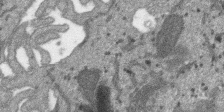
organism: Human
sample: Lung epithelial cells infected with SARS-CoV-2